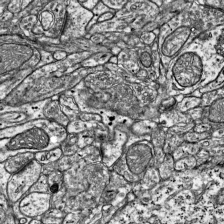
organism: Mouse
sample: Visual Cortex